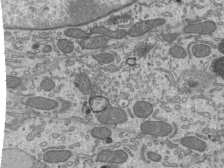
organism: Mouse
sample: Mouse epididymis efferent ductule cilia